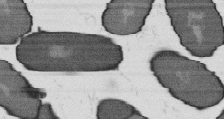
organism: B. subtilis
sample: Bacterial spore